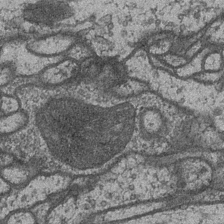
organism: Drosophila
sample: Optic medulla